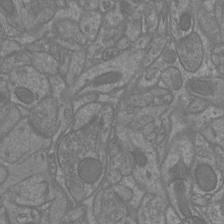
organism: Mouse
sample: Cortical neurons